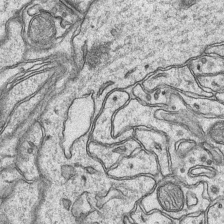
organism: Mouse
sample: CA1 Hippocampus